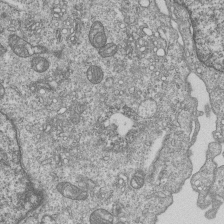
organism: Human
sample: MDA-MB-231 cells